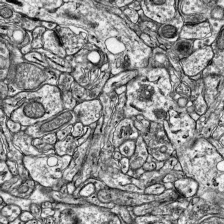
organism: Mouse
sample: Visual Cortex